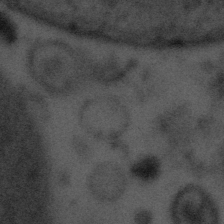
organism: Tuwongella immobilis